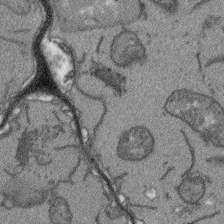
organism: Arabidopsis thaliana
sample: Root tip